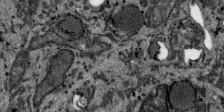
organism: Human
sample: Lung epithelial cells, uninfected (mock) control